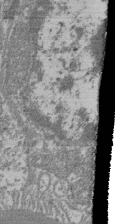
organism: Mouse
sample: Glomerulus